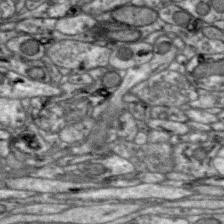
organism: Zebra finch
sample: Brain